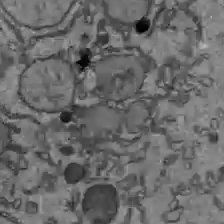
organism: C57BL Mouse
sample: Liver